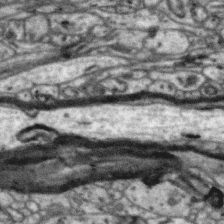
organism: Zebra finch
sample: Brain